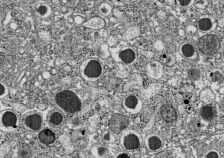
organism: C57BL Mouse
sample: Pancreatic islet